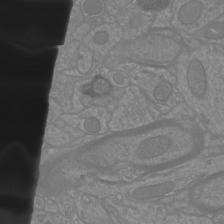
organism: Mouse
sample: Cortical neurons